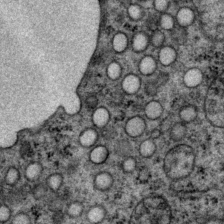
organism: P. pacificus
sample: Pharynx